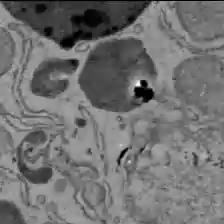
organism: C57BL Mouse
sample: Liver